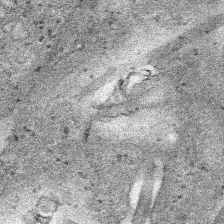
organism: Human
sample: Mitochondria in HCT116 cells